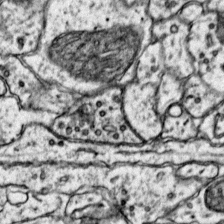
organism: Mouse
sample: Primary visual cortex